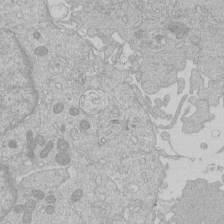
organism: Human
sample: Macrophage cells